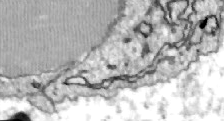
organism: Zebrafish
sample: Actinotrichia fibers